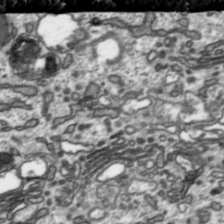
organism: Toxoplasma gondii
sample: Parasites in a vacuole inside a host cell